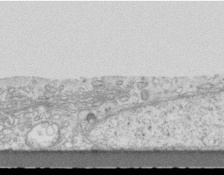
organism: Mouse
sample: Centriole in ependymal cells